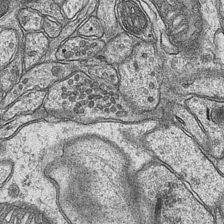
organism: Mouse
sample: CA1 Hippocampus